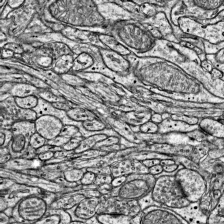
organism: Mouse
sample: Visual Cortex